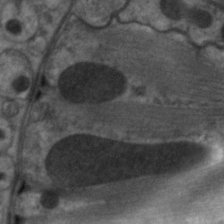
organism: C. elegans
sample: Pharynx